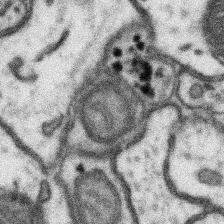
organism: Mouse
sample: Somatosensory cortex neuropil